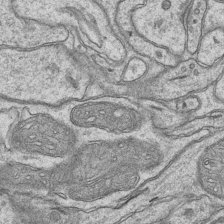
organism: Mouse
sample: CA1 Hippocampus